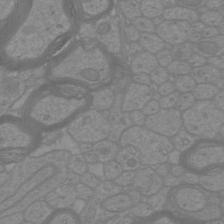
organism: Mouse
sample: Cortical neurons